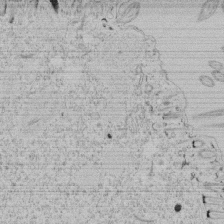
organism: Tetrahymena